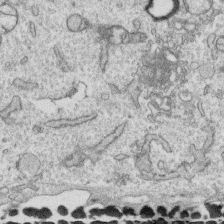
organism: Human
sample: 1205lu cells